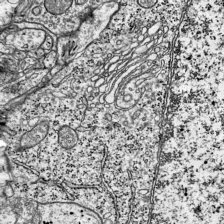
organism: Mouse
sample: Visual Cortex